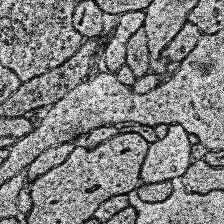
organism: Human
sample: Temporal Lobe